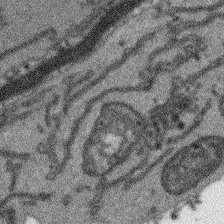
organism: Arabidopsis thaliana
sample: Root tip